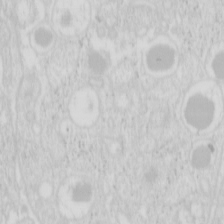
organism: Mouse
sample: Pancreas